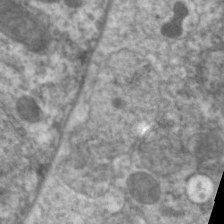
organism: C. elegans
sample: Pharynx